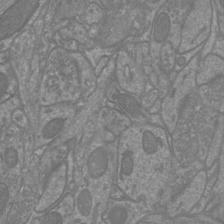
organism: Mouse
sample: Cortical neurons